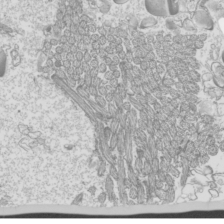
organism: Mouse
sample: Cilia; mouse epididymis